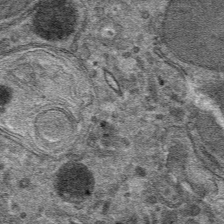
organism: Mouse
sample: Mouse hepatocytes